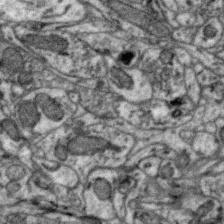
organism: Zebra finch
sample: Brain